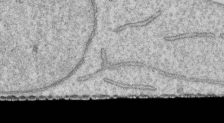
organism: Human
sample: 1205lu cells